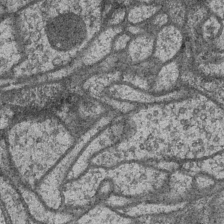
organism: Drosophila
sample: Optic medulla